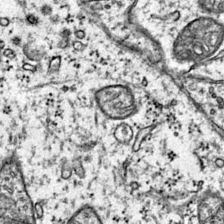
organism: Mouse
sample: Primary visual cortex